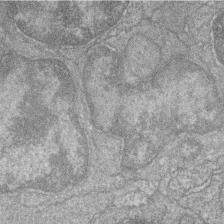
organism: Zebrafish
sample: Cilia; retinal pigment epithelium